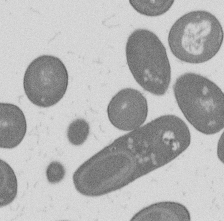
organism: B. subtilis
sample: Bacterial spore